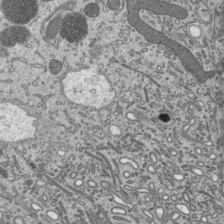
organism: Mouse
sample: Mouse epididymis efferent ductule cilia